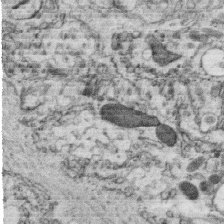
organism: C. elegans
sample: C. elegans oocyte; sperm cells